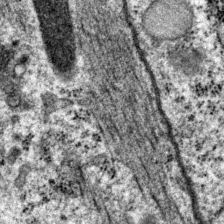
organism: P. pacificus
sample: Pharynx